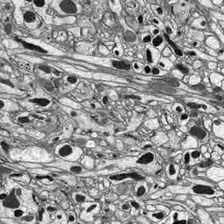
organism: Drosophila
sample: Optic lobe